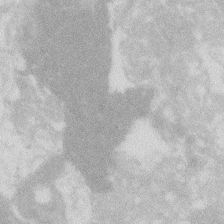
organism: Zebrafish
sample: Macrophage